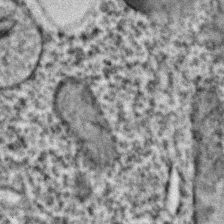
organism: C. elegans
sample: C. elegans embryo